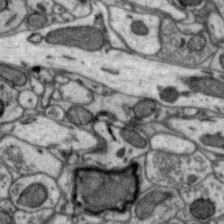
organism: Zebra finch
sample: Brain